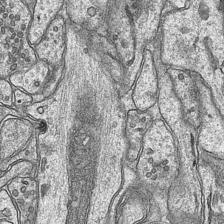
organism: Mouse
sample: CA1 Hippocampus